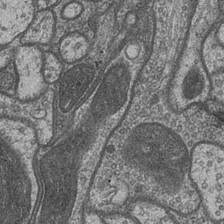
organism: Drosophila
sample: Optic medulla